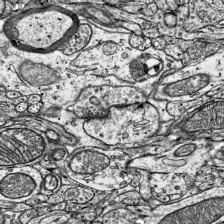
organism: Mouse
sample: Visual Cortex